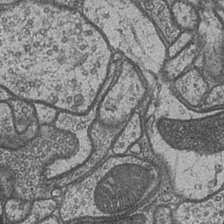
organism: Drosophila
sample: Optic medulla